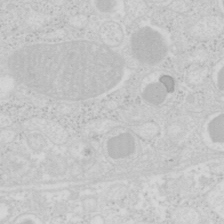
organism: Mouse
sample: Pancreas